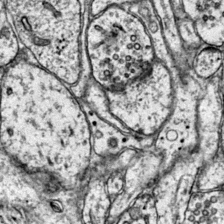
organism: Mouse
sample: Primary visual cortex